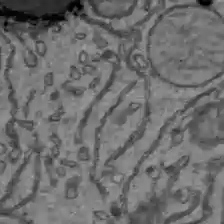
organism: C57BL Mouse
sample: Liver